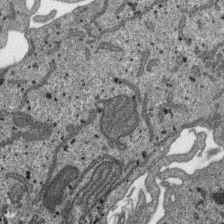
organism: Human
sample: Lung epithelial cells infected with SARS-CoV-2